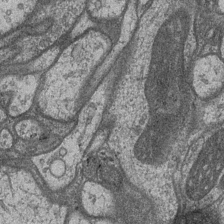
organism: Drosophila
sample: Optic medulla